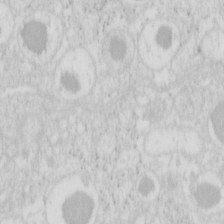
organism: Mouse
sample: Pancreas